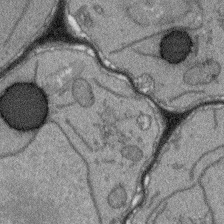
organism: Arabidopsis thaliana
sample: Root tip